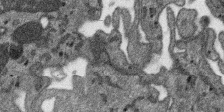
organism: Human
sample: Lung epithelial cells infected with SARS-CoV-2